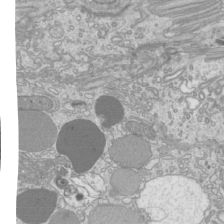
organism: Mouse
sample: Cilia; mouse epididymis